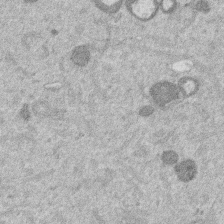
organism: Mouse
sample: Dividing mouse embryo 1 cell stage